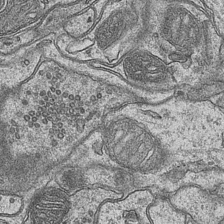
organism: Mouse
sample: CA1 Hippocampus